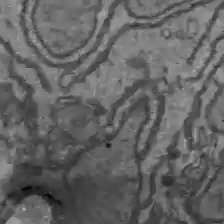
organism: C57BL Mouse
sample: Liver